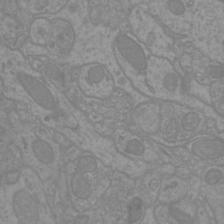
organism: Mouse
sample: Cortical neurons